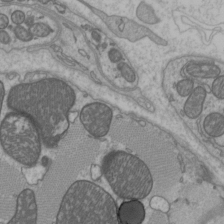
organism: C57BL Mouse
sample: Heart